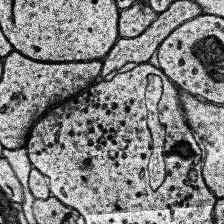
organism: Human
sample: Temporal Lobe